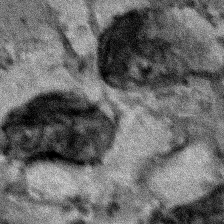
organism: Human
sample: Mitochondria in HCT116 cells